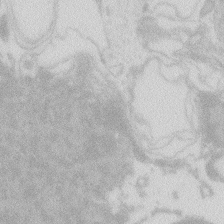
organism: Zebrafish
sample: Macrophage